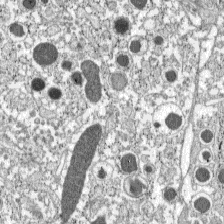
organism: C57BL Mouse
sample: Pancreatic islet